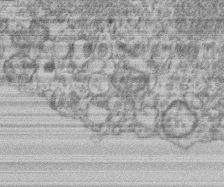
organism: Mouse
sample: T cell stromal cell synapse